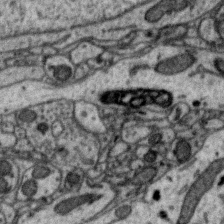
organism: Zebra finch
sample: Brain